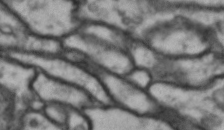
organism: Drosophila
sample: Brain